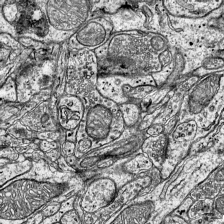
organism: Mouse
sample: Visual Cortex